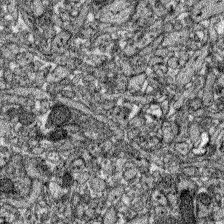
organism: Zebrafish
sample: Larval olfactory bulb